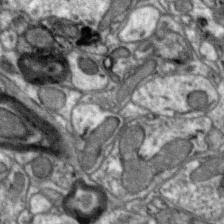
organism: Zebra finch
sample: Brain